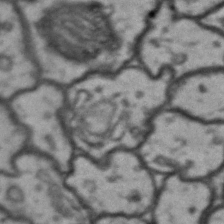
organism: Drosophila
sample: Brain